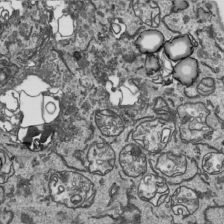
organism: Human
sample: Mitochondria in HCT116 cells